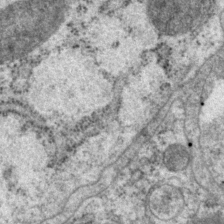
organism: P. pacificus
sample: Pharynx